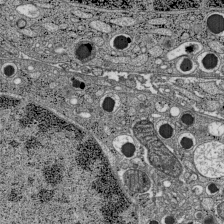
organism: C57BL Mouse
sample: Pancreatic islet